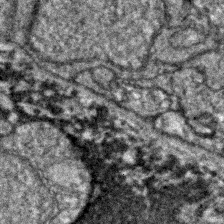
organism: Zebrafish